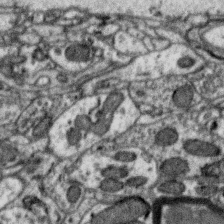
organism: Zebra finch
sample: Brain